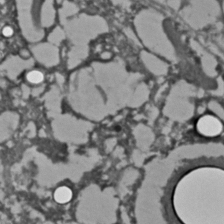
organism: C. elegans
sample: C. elegans embryo